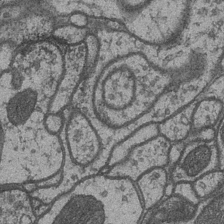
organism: Drosophila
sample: Optic medulla